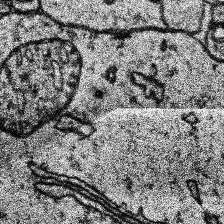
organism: Human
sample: Temporal Lobe